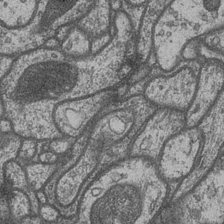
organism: Drosophila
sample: Optic medulla